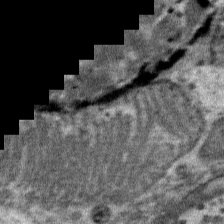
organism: Mouse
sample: Mouse Salivary gland